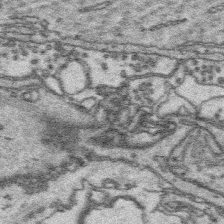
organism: Platynereis dumerilii